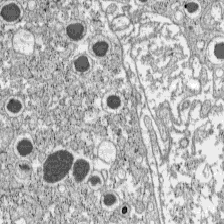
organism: C57BL Mouse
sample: Pancreatic islet